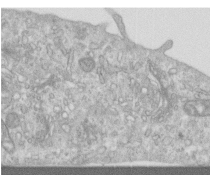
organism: Human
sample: Centriole in RPE cells